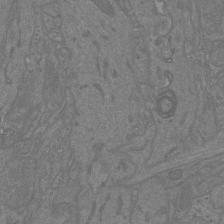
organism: Mouse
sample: Cortical neurons